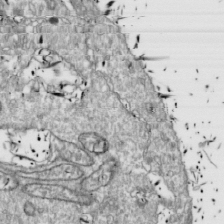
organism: Drosophila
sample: Cell division; meiosis; drosophila spermatocytes